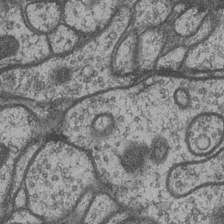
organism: Drosophila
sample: Optic medulla